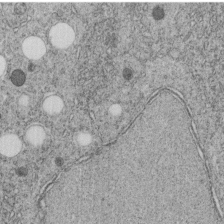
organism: C. elegans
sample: C. elegans embryo early stage